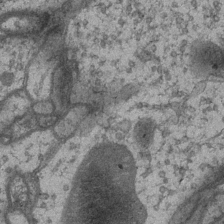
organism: Drosophila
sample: Optic medulla